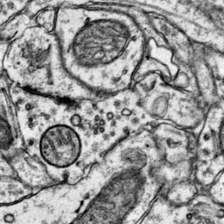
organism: Mouse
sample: Primary visual cortex